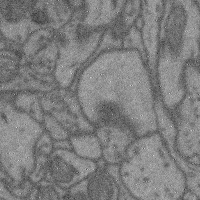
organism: Mouse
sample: Cerebral cortex